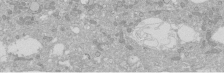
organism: Human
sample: Caco-2 cells